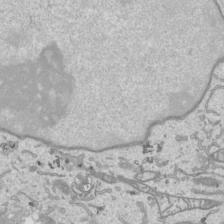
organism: Human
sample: Mitochondria in HCT116 cells